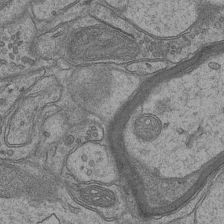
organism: Mouse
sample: CA1 Hippocampus